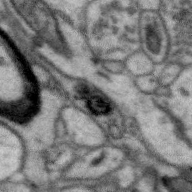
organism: Zebra finch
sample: Brain